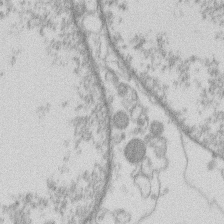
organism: Human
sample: Macrophage cells